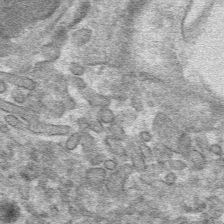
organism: Mouse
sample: Mouse hepatocytes